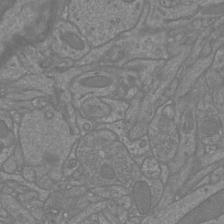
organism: Mouse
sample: Cortical neurons